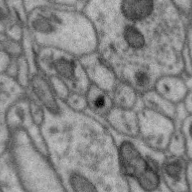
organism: Zebra finch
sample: Brain